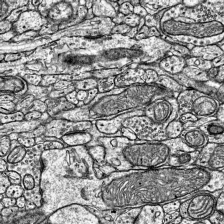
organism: Mouse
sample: Visual Cortex